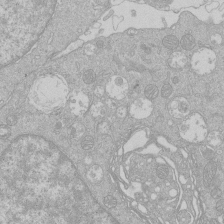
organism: Human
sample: Macrophage cells